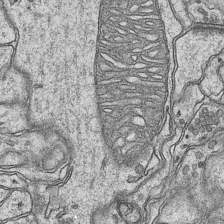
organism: Mouse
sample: CA1 Hippocampus